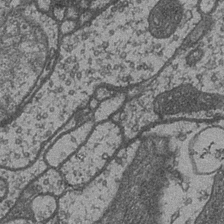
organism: Drosophila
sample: Optic medulla